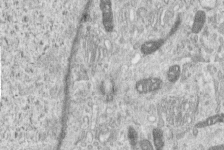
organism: Human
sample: Centriole in RPE cells